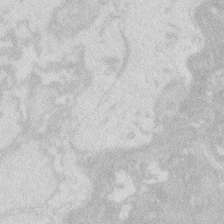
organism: Zebrafish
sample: Macrophage